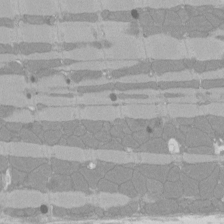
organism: Rat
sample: Left ventricle